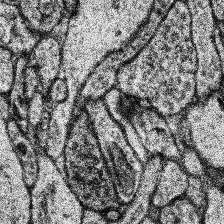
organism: Human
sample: Temporal Lobe